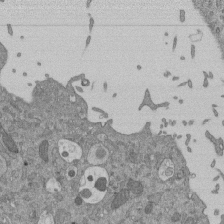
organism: Mouse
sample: ED-1 cell nuclei; centrioles